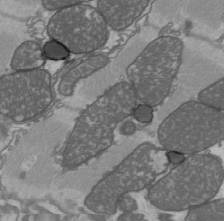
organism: C57BL Mouse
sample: Heart